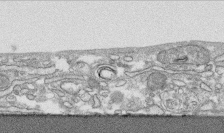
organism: Human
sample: CRL-1474